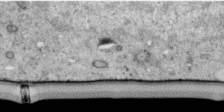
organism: Human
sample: Centriole in RPE cells